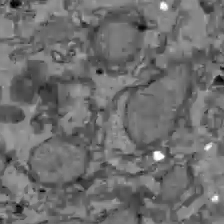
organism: C57BL Mouse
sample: Liver